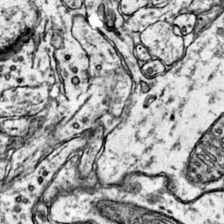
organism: Mouse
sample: Primary visual cortex